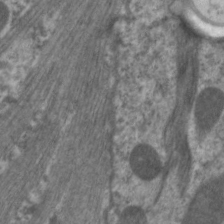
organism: C. elegans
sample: Pharynx